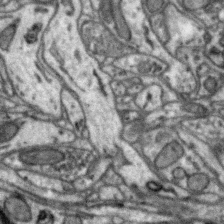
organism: Zebra finch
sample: Brain